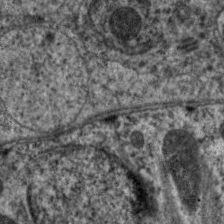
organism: C. elegans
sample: Pharynx